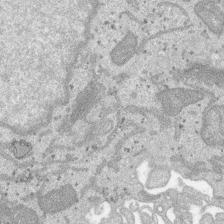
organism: Human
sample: Lung epithelial cells infected with SARS-CoV-2